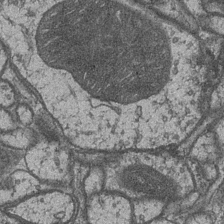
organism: Drosophila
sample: Optic medulla